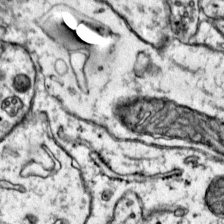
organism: Mouse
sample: Primary visual cortex